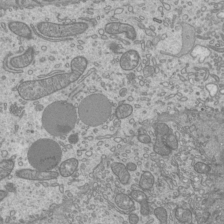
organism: Mouse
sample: Cilia; mouse epididymis